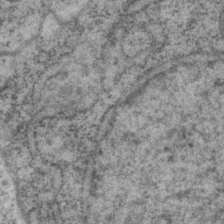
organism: P. pacificus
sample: Pharynx